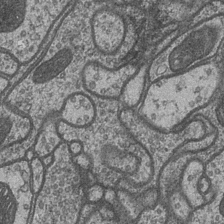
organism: Drosophila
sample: Optic medulla